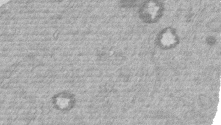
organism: Mouse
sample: Dividing mouse embryo 1 cell stage